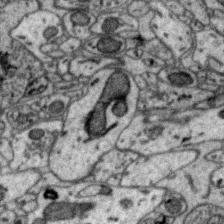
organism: Zebra finch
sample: Brain